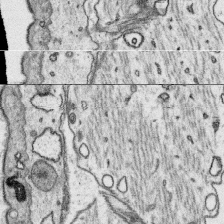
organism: Platynereis dumerilii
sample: Parapodia